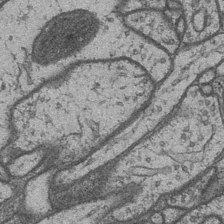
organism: Drosophila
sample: Optic medulla